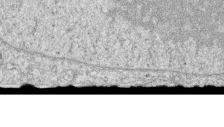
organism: Human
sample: HeLa cell HIV synapse